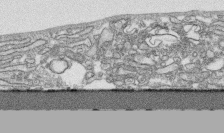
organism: Human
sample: CRL-1474